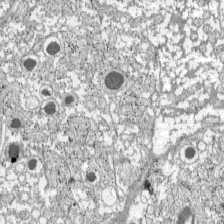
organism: C57BL Mouse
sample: Pancreatic islet